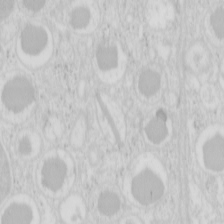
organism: Mouse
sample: Pancreas